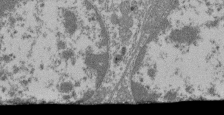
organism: Mouse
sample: Glomerulus